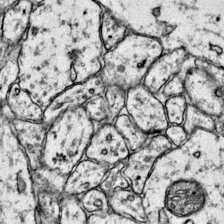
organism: Mouse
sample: Primary visual cortex